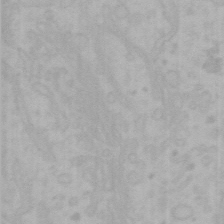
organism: Mouse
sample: Choroid plexus